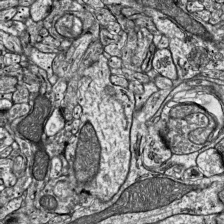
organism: Mouse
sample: Visual Cortex